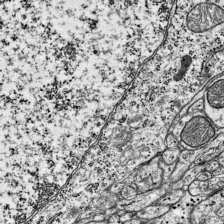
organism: Mouse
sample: Visual Cortex